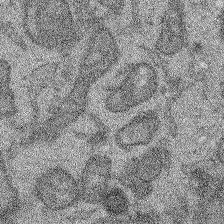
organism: Human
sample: HeLa cells